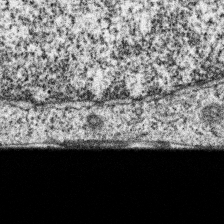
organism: Human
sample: HeLa cells